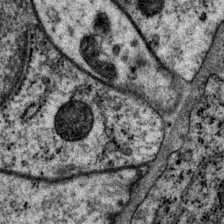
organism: P. pacificus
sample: Pharynx